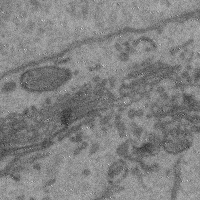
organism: Mouse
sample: Cerebral cortex